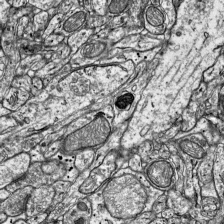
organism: Mouse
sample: Visual Cortex